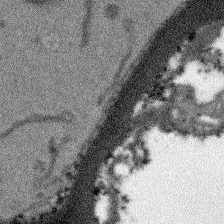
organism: Arabidopsis thaliana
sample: Root tip